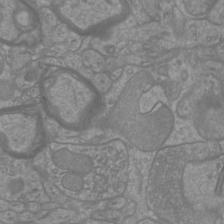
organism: Mouse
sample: Cortical neurons